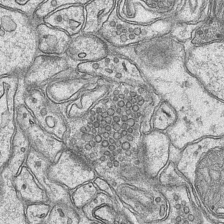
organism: Mouse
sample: CA1 Hippocampus